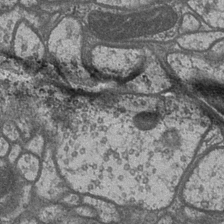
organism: Drosophila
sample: Optic medulla